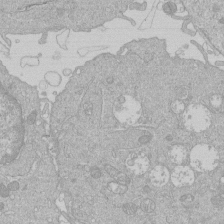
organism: Human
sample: Macrophage cells